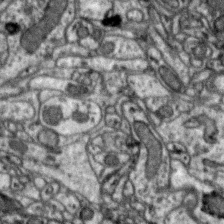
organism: Zebra finch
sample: Brain